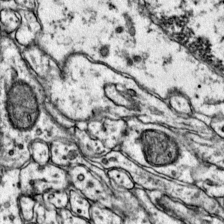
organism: Mouse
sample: Primary visual cortex